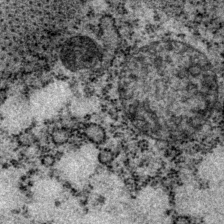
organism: P. pacificus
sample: Pharynx